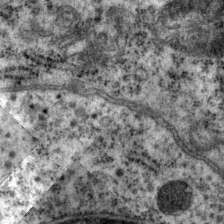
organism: P. pacificus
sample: Pharynx